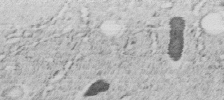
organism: C. elegans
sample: C. elegans embryo early stage